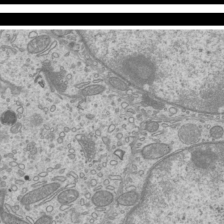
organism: Mouse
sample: Cilia; mouse epididymis